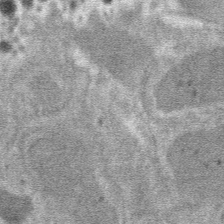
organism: Mouse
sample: Mouse hepatocytes